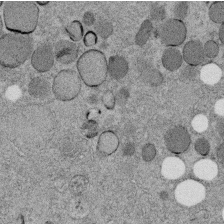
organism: C. elegans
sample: C. elegans embryo early stage